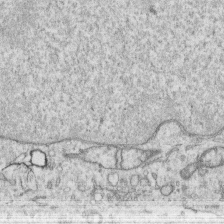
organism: Human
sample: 1205lu cells